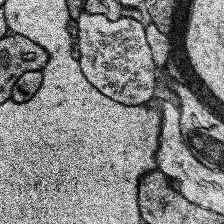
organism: Human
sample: Temporal Lobe